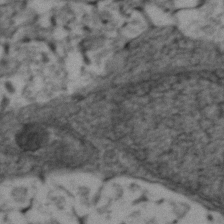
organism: Zebrafish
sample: Zebrafish embryo